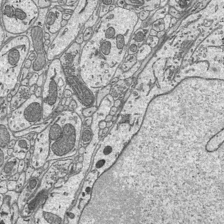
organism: Mouse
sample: Suprachiasmatic nucleus